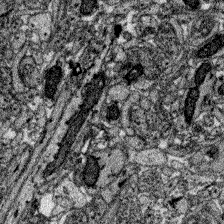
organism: Zebrafish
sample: Larval olfactory bulb